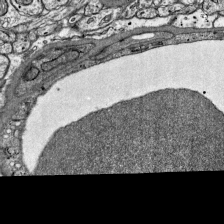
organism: Mouse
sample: Visual Cortex